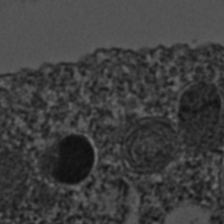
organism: C. elegans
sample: C. elegans embryo